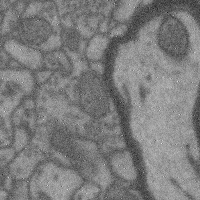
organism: Mouse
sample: Cerebral cortex